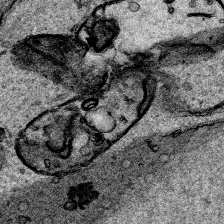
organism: Human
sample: Mitochondria in HCT116 cells